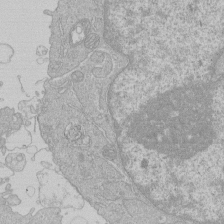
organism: Human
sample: Macrophage cells